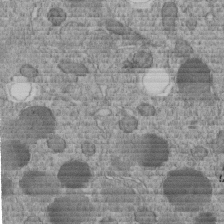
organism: C. elegans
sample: C. elegans embryo early stage